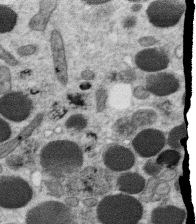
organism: C. elegans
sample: C. elegans oocyte; sperm cells